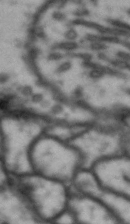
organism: Drosophila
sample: Brain